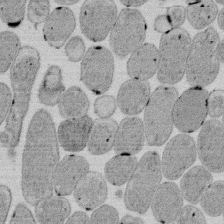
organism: E. coli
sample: Bacterial nucleoid